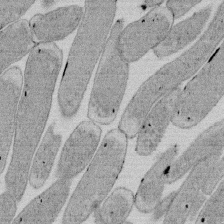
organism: E. coli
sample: Bacterial nucleoid